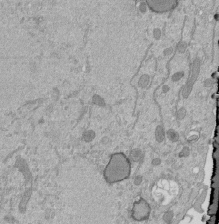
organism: Mouse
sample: ED-1 cell nuclei; centrioles